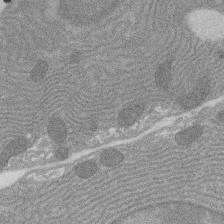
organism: Rat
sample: Salivary granule